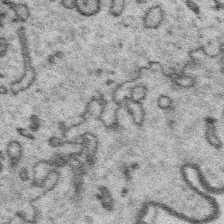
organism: Platynereis dumerilii